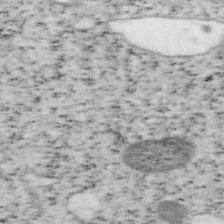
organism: Mouse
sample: OT-I killer T cells with ID8 ovarian cancer cells